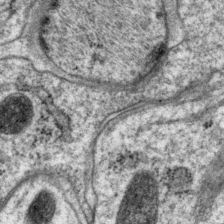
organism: P. pacificus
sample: Pharynx